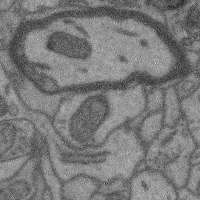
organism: Mouse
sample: Cerebral cortex